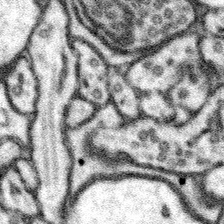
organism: Mouse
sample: Somatosensory cortex neuropil